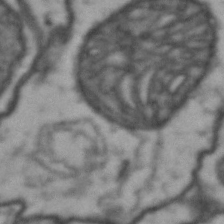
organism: Drosophila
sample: Brain